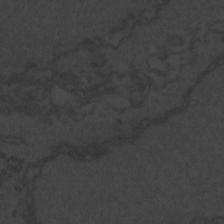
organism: Zebrafish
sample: Macrophage infected with Toxoplasma gondii